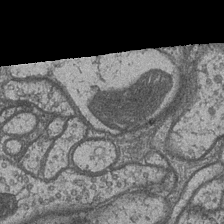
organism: Drosophila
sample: Optic medulla